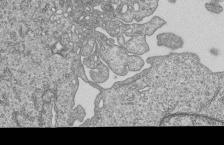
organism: Human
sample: MDA-MB-231 cells